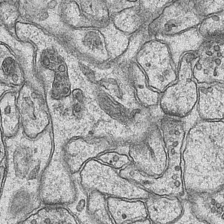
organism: Mouse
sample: CA1 Hippocampus